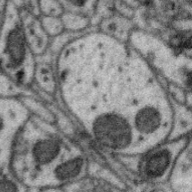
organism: Zebra finch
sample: Brain